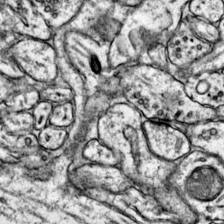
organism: Mouse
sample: Primary visual cortex